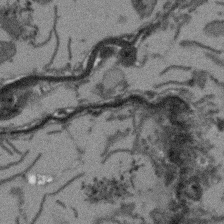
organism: Arabidopsis thaliana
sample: Root tip